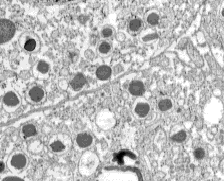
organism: C57BL Mouse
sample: Pancreatic islet